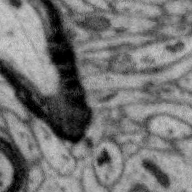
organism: Zebra finch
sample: Brain